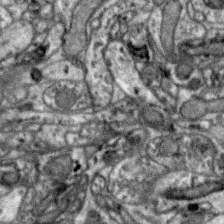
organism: Zebra finch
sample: Brain